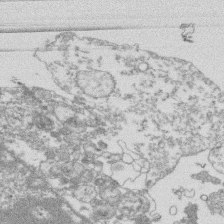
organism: Human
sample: HeLa cell HIV synapse